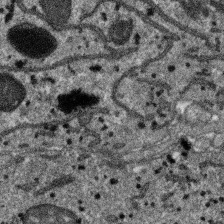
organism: Human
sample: Lung epithelial cells infected with SARS-CoV-2